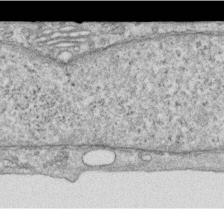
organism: Human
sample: Centriole in RPE cells